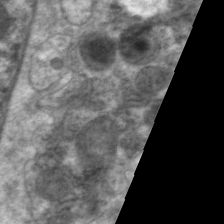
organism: C. elegans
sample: Pharynx